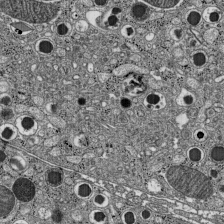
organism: C57BL Mouse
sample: Pancreatic islet